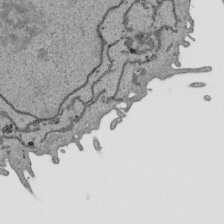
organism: Human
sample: Mitochondria in HCT116 cells